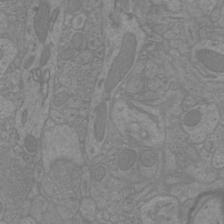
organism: Mouse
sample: Cortical neurons